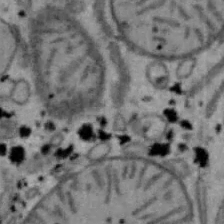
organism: Mouse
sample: Liver